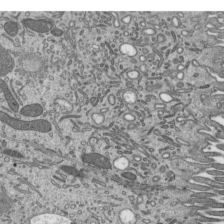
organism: Mouse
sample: Mouse epididymis efferent ductule cilia